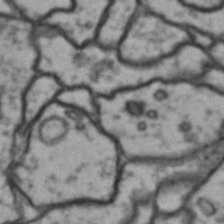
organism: Drosophila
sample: Brain